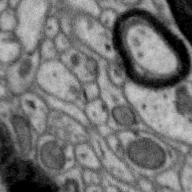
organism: Zebra finch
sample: Brain